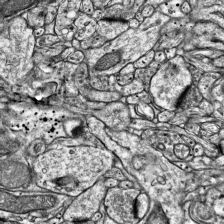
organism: Mouse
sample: Visual Cortex